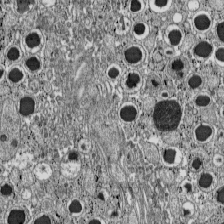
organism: C57BL Mouse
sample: Pancreatic islet